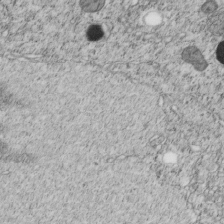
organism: C. elegans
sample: C. elegans embryo early stage